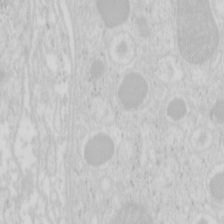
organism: Mouse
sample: Pancreas